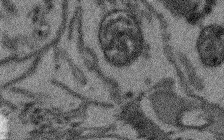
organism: Arabidopsis thaliana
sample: Root tip